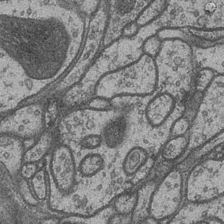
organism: Drosophila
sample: Optic medulla